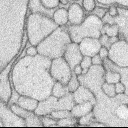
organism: Rabbit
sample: Retina